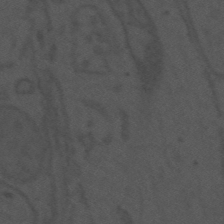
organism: Mouse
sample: Suprachiasmatic nucleus